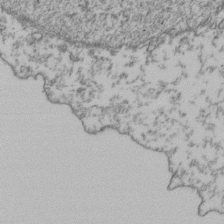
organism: Human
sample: Activated Jurkat CD4+ T cells